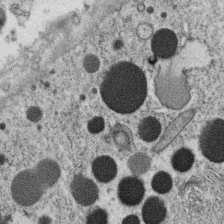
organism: C. elegans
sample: C. elegans oocyte; sperm cells